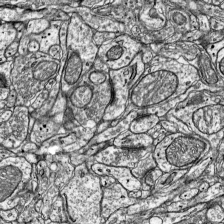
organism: Mouse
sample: Visual Cortex